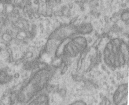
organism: Human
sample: Centriole in RPE cells